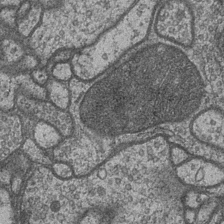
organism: Drosophila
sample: Optic medulla